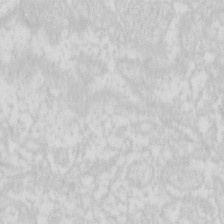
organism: Mouse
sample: Pancreas